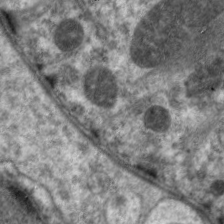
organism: C. elegans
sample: Pharynx